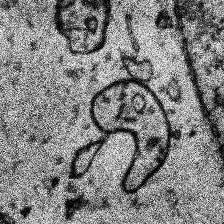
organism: Human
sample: Temporal Lobe